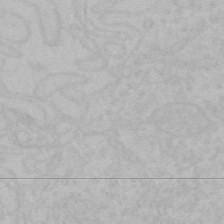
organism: Mouse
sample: Choroid plexus